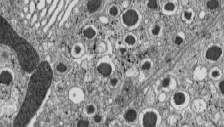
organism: C57BL Mouse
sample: Pancreatic islet